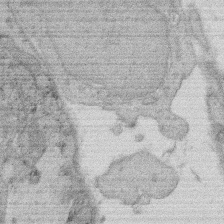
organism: Rat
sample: Salivary granule